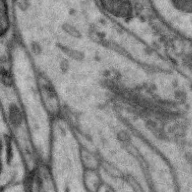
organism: Zebra finch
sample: Brain